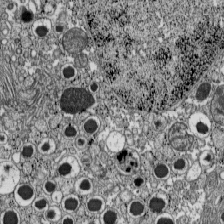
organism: C57BL Mouse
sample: Pancreatic islet